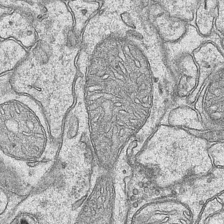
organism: Mouse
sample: CA1 Hippocampus